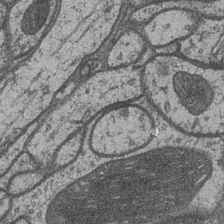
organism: Drosophila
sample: Optic medulla